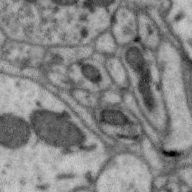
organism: Zebra finch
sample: Brain